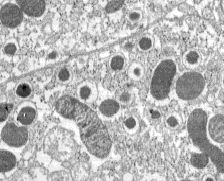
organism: C57BL Mouse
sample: Pancreatic islet